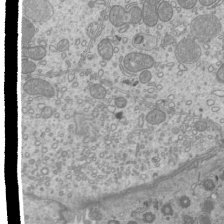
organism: Mouse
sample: Cilia; mouse epididymis